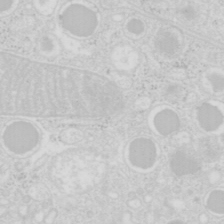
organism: Mouse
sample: Pancreas